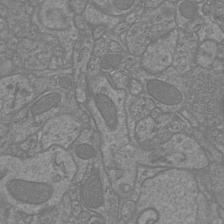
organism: Mouse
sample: Cortical neurons